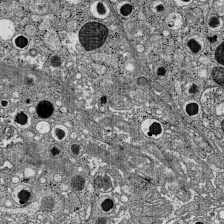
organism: C57BL Mouse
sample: Pancreatic islet